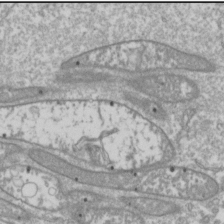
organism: Drosophila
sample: Cell division; meiosis; drosophila spermatocytes